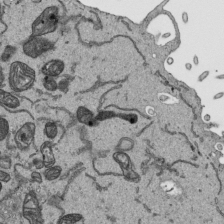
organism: Human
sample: Mitochondria in HCT116 cells